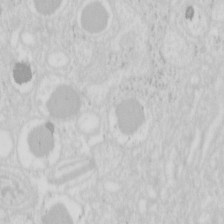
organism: Mouse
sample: Pancreas